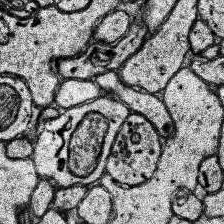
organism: Human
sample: Temporal Lobe